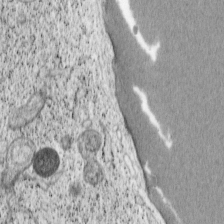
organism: African green monkey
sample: COS-7 cells